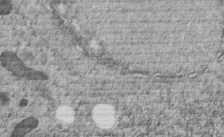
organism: C. elegans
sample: C. elegans embryo early stage